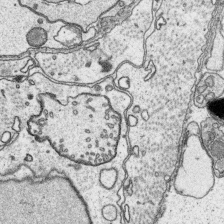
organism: Platynereis dumerilii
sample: Parapodia